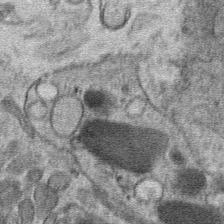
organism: Mouse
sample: Mouse hepatocytes